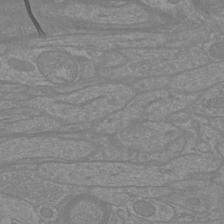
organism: Mouse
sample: Cortical neurons